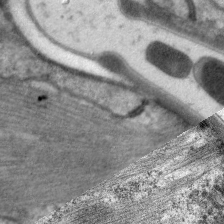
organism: C. elegans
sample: Pharynx